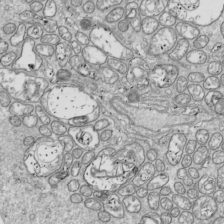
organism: Drosophila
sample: Cell division; meiosis; drosophila spermatocytes